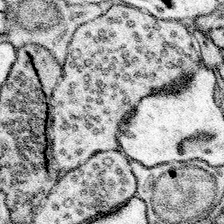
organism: Mouse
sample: Somatosensory cortex neuropil